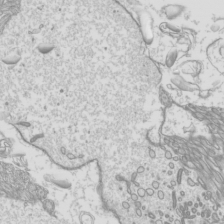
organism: Mouse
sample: Cilia; mouse epididymis